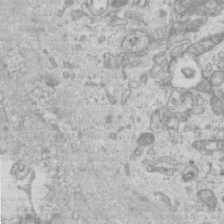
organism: Mouse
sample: Centriole in ependymal cells